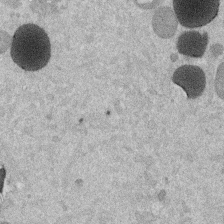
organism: Mouse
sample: Dividing mouse embryo 1 cell stage